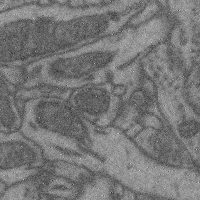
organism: Mouse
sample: Cerebral cortex